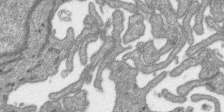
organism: Human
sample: Lung epithelial cells infected with SARS-CoV-2